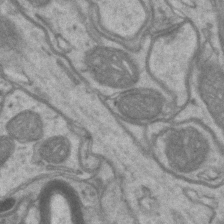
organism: Mouse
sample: CA1 Hippocampus